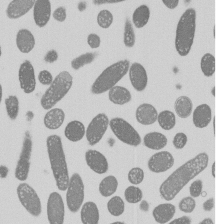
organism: E. coli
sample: Bacterial nucleoid